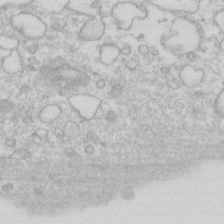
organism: Human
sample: Fibroblast cells